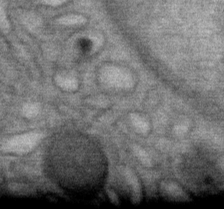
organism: Mouse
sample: Mouse Salivary gland